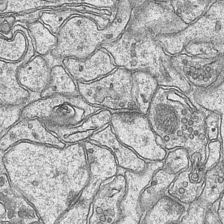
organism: Mouse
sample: CA1 Hippocampus